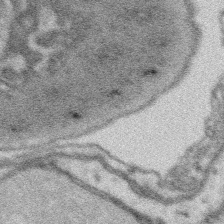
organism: Platynereis dumerilii